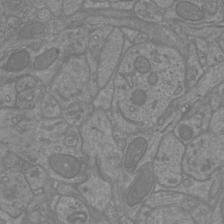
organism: Mouse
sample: Cortical neurons